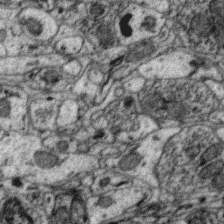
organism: Zebra finch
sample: Brain